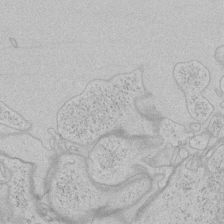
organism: Human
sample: Mitochondria in HCT116 cells